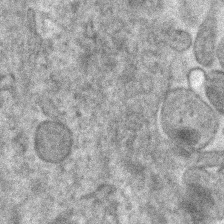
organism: Human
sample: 1205lu cells